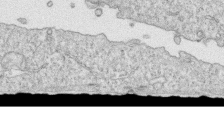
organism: Human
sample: HeLa cell HIV synapse